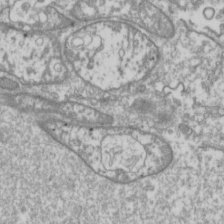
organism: Drosophila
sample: Cell division; meiosis; drosophila spermatocytes